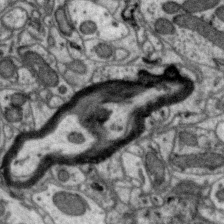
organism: Zebra finch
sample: Brain